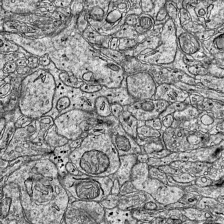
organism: Mouse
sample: Visual Cortex